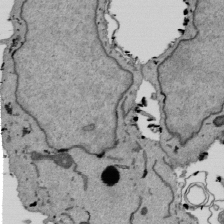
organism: Mouse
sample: ED-1 cell nuclei; centrioles